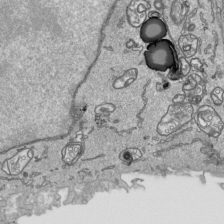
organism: Human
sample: Mitochondria in HCT116 cells